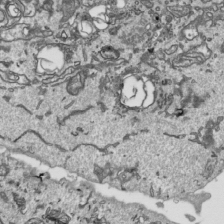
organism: Human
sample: Mitochondria in HCT116 cells